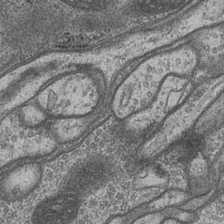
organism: Drosophila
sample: Optic medulla